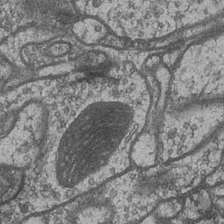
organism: Drosophila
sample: Optic medulla